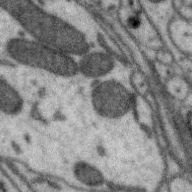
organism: Zebra finch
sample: Brain